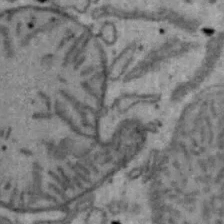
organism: Mouse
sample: Liver